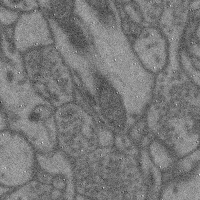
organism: Mouse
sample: Cerebral cortex